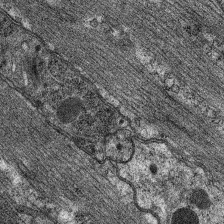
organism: C. elegans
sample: Pharynx